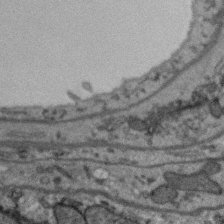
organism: Zebra finch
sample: Brain